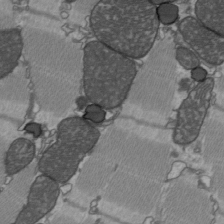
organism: C57BL Mouse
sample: Heart